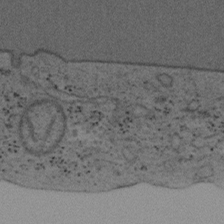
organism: Human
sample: HeLa cells